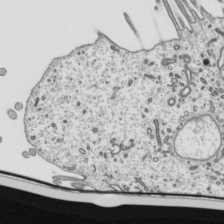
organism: Mouse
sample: Mouse epididymis efferent ductule cilia